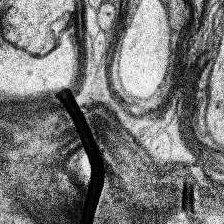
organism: Human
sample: Temporal Lobe